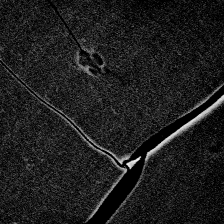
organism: Zebrafish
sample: Whole-Brain